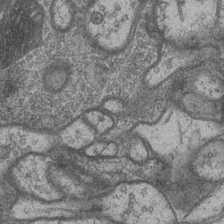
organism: Drosophila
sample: Optic medulla